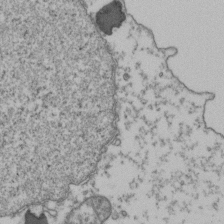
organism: Human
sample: Activated Jurkat CD4+ T cells